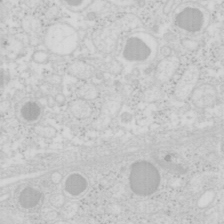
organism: Mouse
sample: Pancreas